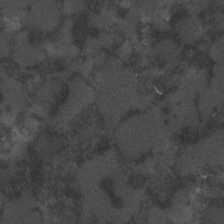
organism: C. elegans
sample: C. elegans embryo